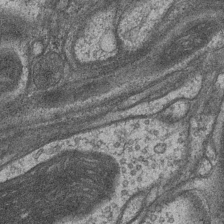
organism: Drosophila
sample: Optic medulla